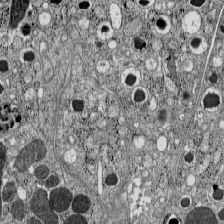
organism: C57BL Mouse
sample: Pancreatic islet